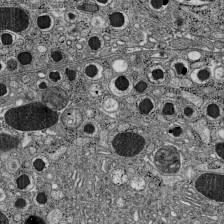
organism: C57BL Mouse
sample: Pancreatic islet